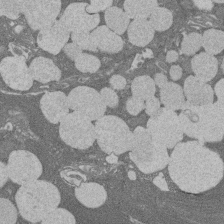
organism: Rat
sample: Salivary granule